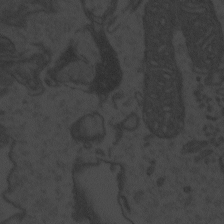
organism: Zebrafish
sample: Macrophage infected with Toxoplasma gondii